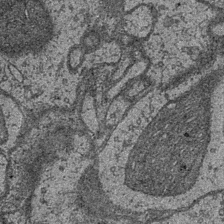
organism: Drosophila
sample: Optic medulla